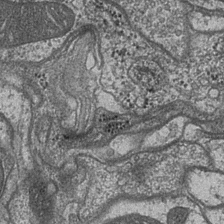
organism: Drosophila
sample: Optic medulla